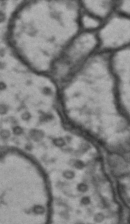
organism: Drosophila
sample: Brain